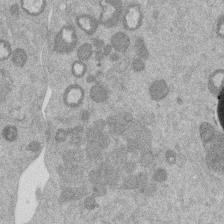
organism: Mouse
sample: Dividing mouse embryo 1 cell stage